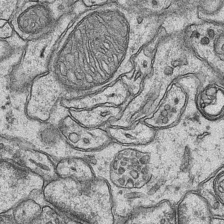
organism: Mouse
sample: CA1 Hippocampus